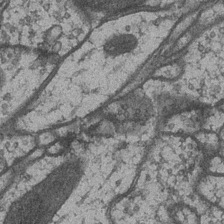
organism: Drosophila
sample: Optic medulla